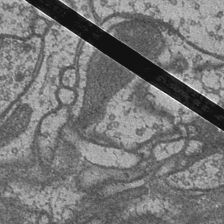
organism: Drosophila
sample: Optic medulla